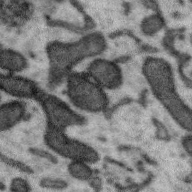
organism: Zebra finch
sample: Brain